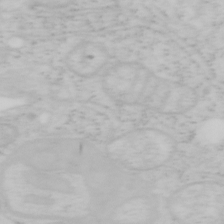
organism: Mouse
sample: OT-I killer T cells with ID8 ovarian cancer cells